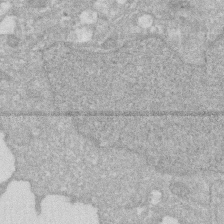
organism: Human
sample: HIV infected U937 cells